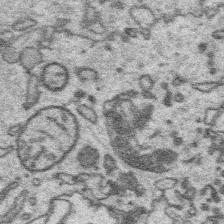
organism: Platynereis dumerilii